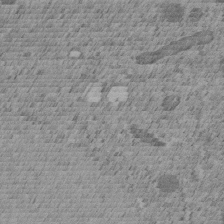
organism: C. elegans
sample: C. elegans embryo early stage